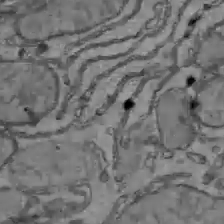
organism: C57BL Mouse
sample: Liver